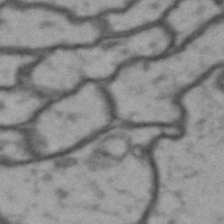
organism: Drosophila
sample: Brain